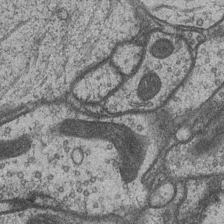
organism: Drosophila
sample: Optic medulla